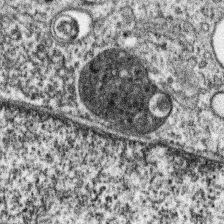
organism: Human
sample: HeLa cells